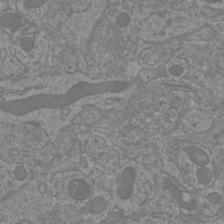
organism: Mouse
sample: Cortical neurons